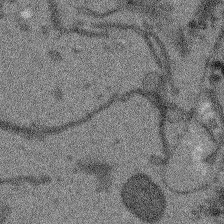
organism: Arabidopsis thaliana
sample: Root tip